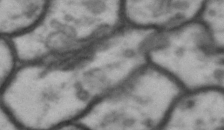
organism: Drosophila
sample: Brain